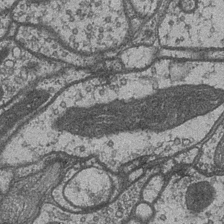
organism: Drosophila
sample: Optic medulla